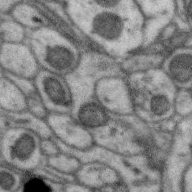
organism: Zebra finch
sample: Brain